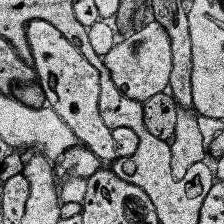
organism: Human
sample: Temporal Lobe